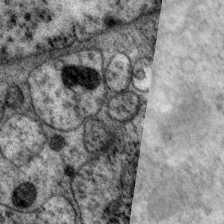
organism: P. pacificus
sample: Pharynx